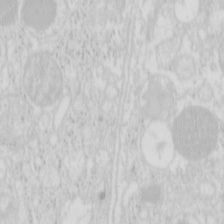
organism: Mouse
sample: Pancreas